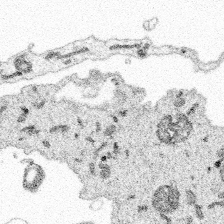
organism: Spongilla lacustris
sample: Multiple